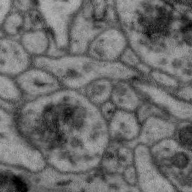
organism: Zebra finch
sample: Brain